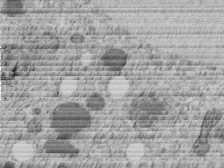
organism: C. elegans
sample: C. elegans embryo early stage